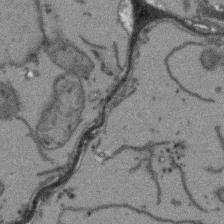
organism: Arabidopsis thaliana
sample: Root tip